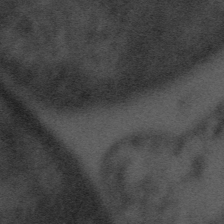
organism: Tuwongella immobilis